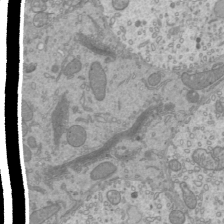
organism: Mouse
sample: Cilia; mouse epididymis